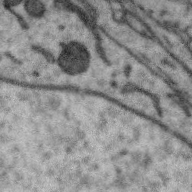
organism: Zebra finch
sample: Brain